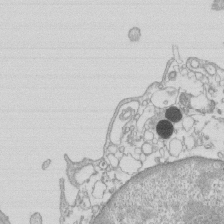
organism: Mouse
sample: Macrophages